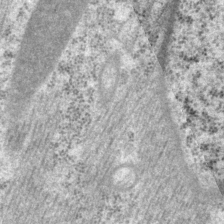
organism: P. pacificus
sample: Pharynx